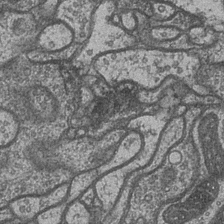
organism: Drosophila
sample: Optic medulla